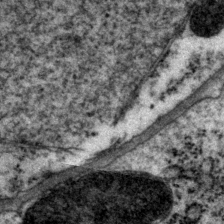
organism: P. pacificus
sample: Pharynx